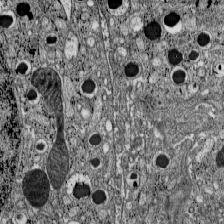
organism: C57BL Mouse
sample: Pancreatic islet